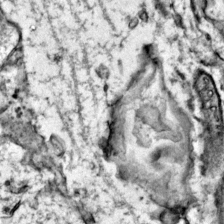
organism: Mouse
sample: Primary visual cortex